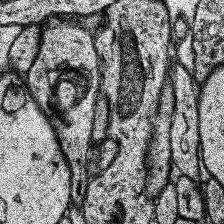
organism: Human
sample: Temporal Lobe